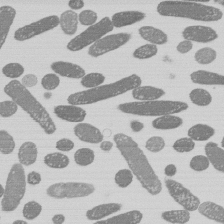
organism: E. coli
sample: Bacterial nucleoid